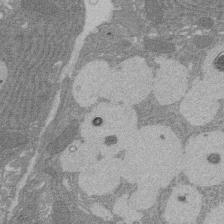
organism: Rat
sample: Salivary granule